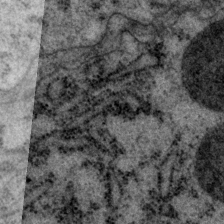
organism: P. pacificus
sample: Pharynx